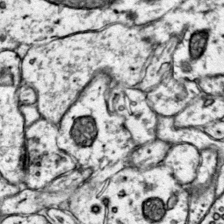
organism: Mouse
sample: Primary visual cortex